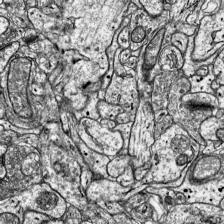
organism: Mouse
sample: Visual Cortex